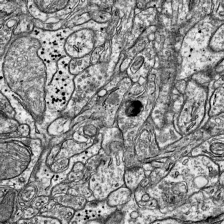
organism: Mouse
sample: Visual Cortex